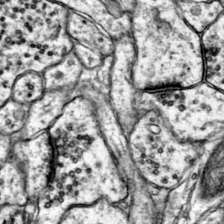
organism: Mouse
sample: Primary visual cortex